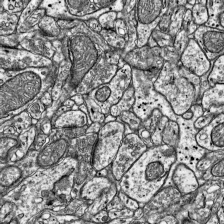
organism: Mouse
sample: Visual Cortex